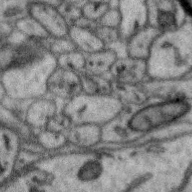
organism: Zebra finch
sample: Brain